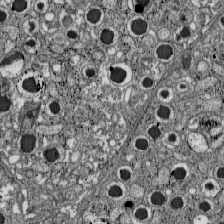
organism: C57BL Mouse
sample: Pancreatic islet